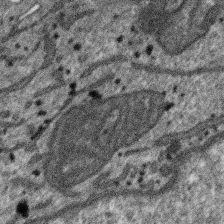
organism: Human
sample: Lung epithelial cells infected with SARS-CoV-2